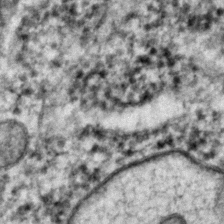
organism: C. elegans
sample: C. elegans embryo